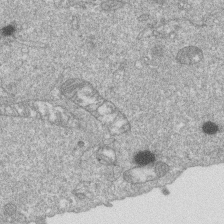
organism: Human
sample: HeLa cell HIV synapse